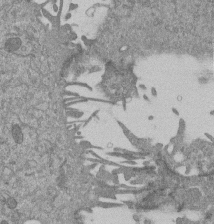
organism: Mouse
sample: ED-1 cell nuclei; centrioles